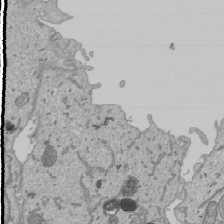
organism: Human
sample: Mitochondria in U2OS cells